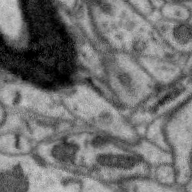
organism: Zebra finch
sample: Brain